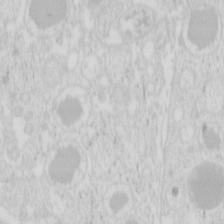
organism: Mouse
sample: Pancreas